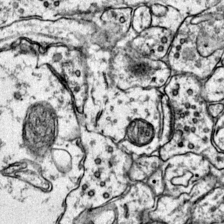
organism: Mouse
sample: Primary visual cortex